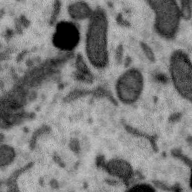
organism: Zebra finch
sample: Brain